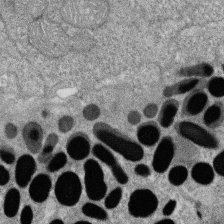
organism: Zebrafish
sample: Cilia; retinal pigment epithelium